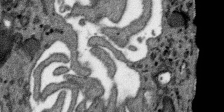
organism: Human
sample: Lung epithelial cells, uninfected (mock) control